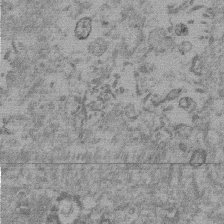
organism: Mouse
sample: Dividing mouse embryo 1 cell stage